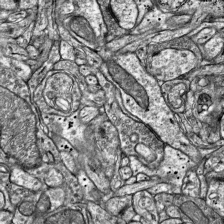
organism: Mouse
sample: Visual Cortex